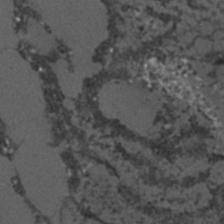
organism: C. elegans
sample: C. elegans embryo